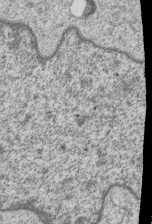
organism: Human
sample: MDA-MB-231 cells